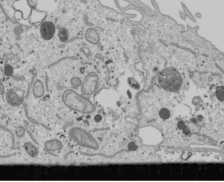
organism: Human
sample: Mitochondria in U2OS cells